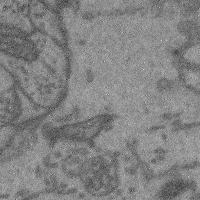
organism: Mouse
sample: Cerebral cortex